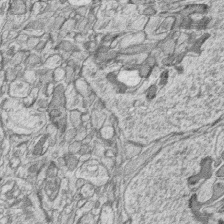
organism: Zebrafish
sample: synaptic ribbons in rod cells and cone cells